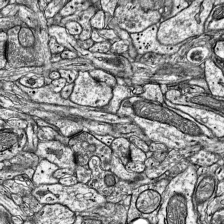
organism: Mouse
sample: Visual Cortex